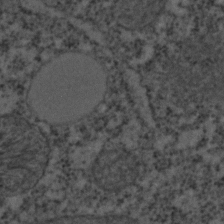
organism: C. elegans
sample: C. elegans embryo